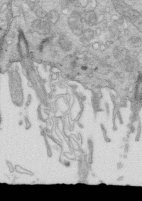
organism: Mouse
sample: Multiciliated cells